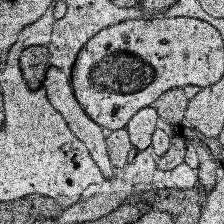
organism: Human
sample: Temporal Lobe